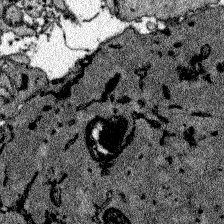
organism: Zebrafish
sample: Larval olfactory bulb